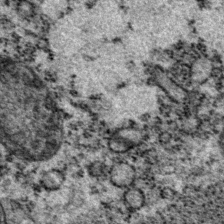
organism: P. pacificus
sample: Pharynx